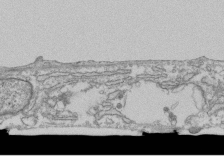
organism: Human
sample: Fibroblast cells